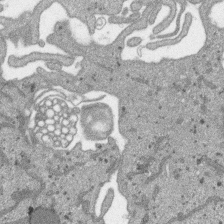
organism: Human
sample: Lung epithelial cells infected with SARS-CoV-2